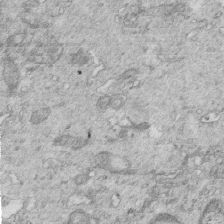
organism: Mouse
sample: Multiciliated cells